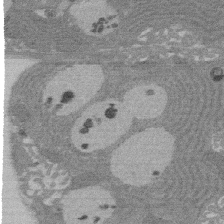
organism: Rat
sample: Salivary granule